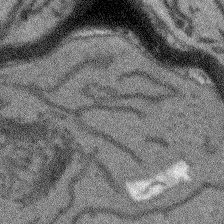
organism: Arabidopsis thaliana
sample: Root tip